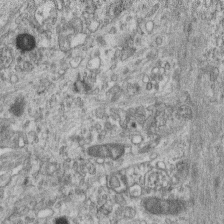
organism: Mouse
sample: Centriole in ependymal cells